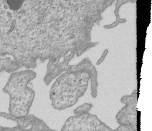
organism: Human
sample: MDA-MB-231 cells